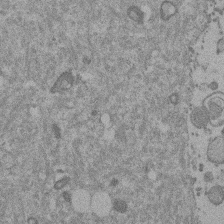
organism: Mouse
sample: Dividing mouse embryo 1 cell stage